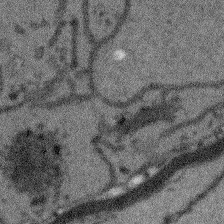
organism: Arabidopsis thaliana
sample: Root tip